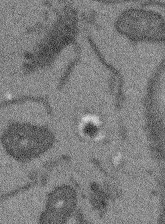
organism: Arabidopsis thaliana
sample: Root tip